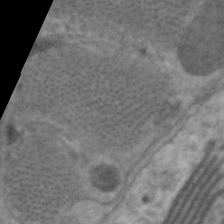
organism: C. elegans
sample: Pharynx